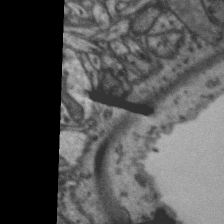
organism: Zebra finch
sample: Brain